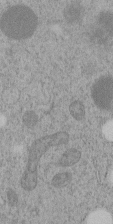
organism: C. elegans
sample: C. elegans embryo early stage